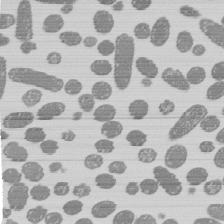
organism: E. coli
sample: Bacterial nucleoid